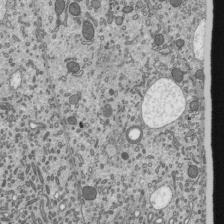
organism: Mouse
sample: Mouse epididymis efferent ductule cilia